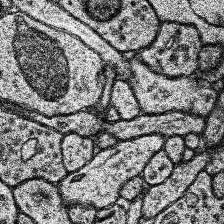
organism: Human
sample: Temporal Lobe